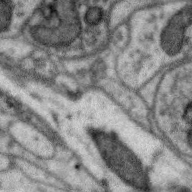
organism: Zebra finch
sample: Brain